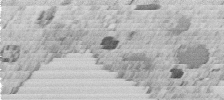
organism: C. elegans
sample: C. elegans embryo early stage